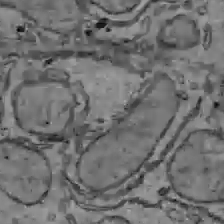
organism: C57BL Mouse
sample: Liver